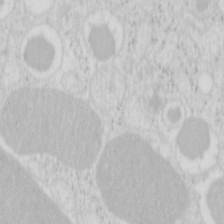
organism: Mouse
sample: Pancreas